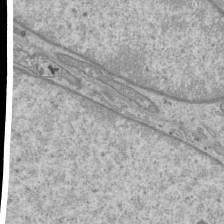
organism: Mouse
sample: Cilia; mouse epididymis